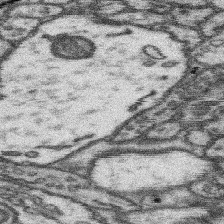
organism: Mouse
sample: Somatosensory cortex neuropil